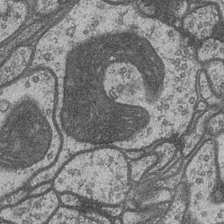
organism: Drosophila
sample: Optic medulla